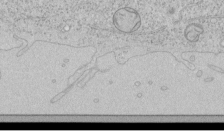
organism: Human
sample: Mitochondria in HCT116 cells